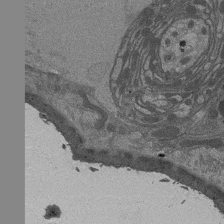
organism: Drosophila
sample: Antenna